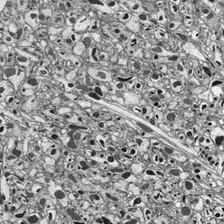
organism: Drosophila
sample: Optic lobe